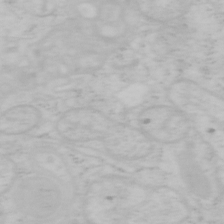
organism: Mouse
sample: OT-I killer T cells with ID8 ovarian cancer cells